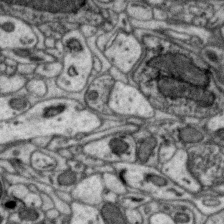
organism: Zebra finch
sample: Brain